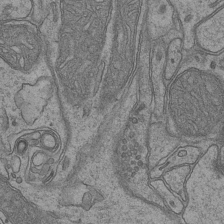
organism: Mouse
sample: CA1 Hippocampus